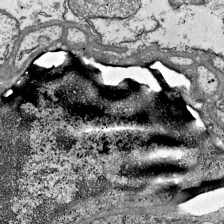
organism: Mouse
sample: Visual Cortex